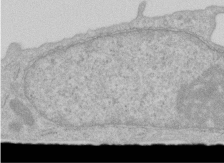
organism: Human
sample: Centriole in RPE cells